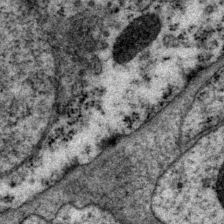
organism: P. pacificus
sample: Pharynx